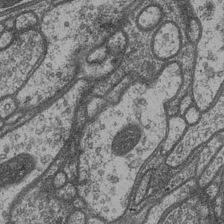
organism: Drosophila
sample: Optic medulla